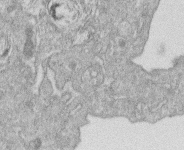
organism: Human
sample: Macrophage cells